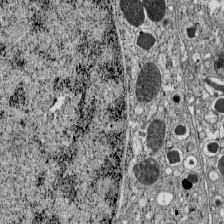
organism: C57BL Mouse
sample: Pancreatic islet